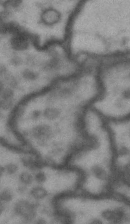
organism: Drosophila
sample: Brain